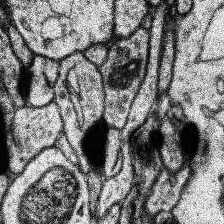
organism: Human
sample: Temporal Lobe